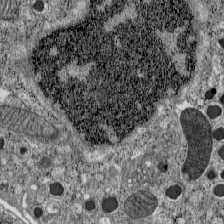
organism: C57BL Mouse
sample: Pancreatic islet